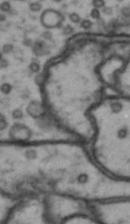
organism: Drosophila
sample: Brain